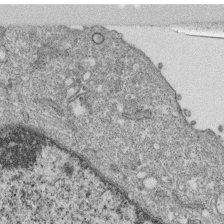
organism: African green monkey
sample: Vero E6 cells infected with SARS-CoV-2